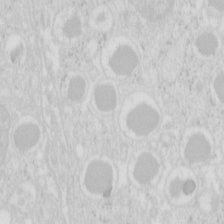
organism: Mouse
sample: Pancreas